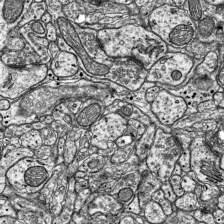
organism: Mouse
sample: Visual Cortex